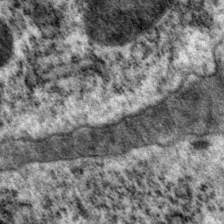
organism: P. pacificus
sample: Pharynx